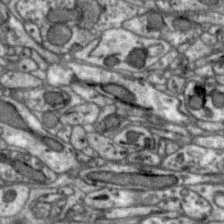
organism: Zebra finch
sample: Brain